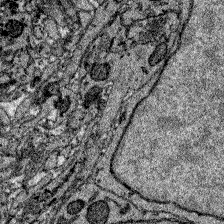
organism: Zebrafish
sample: Larval olfactory bulb